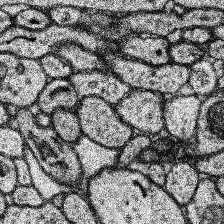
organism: Human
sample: Temporal Lobe